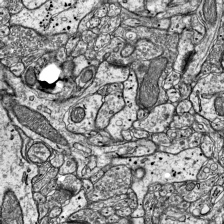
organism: Mouse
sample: Visual Cortex